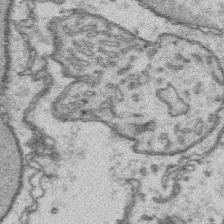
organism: Platynereis dumerilii